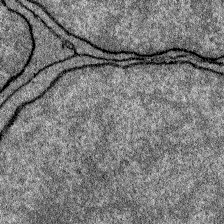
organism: Zebrafish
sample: Larval olfactory bulb